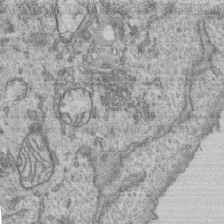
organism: Human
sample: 1205lu cells